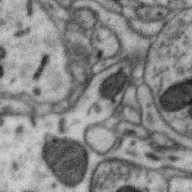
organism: Zebra finch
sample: Brain